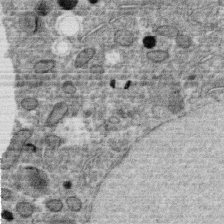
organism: C. elegans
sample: C. elegans oocyte; sperm cells